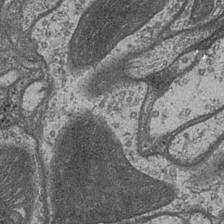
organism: Drosophila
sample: Optic medulla